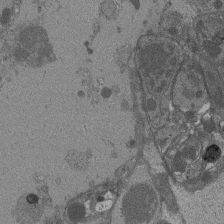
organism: Drosophila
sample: Antenna